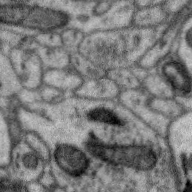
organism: Zebra finch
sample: Brain